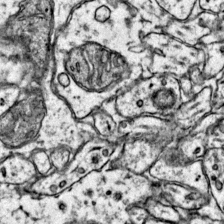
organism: Mouse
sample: Primary visual cortex